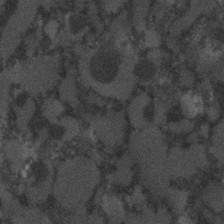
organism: C. elegans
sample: C. elegans embryo